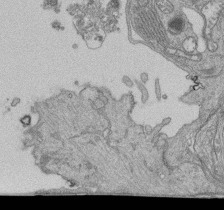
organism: Human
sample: Retinal organoid Rod and Cone cells